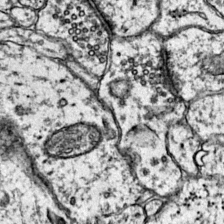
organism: Mouse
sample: Primary visual cortex